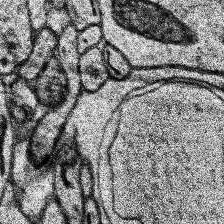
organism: Human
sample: Temporal Lobe